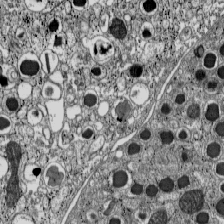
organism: C57BL Mouse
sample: Pancreatic islet